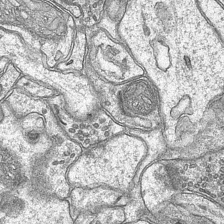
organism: Mouse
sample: CA1 Hippocampus